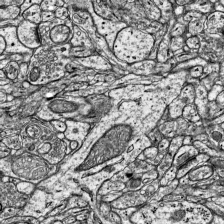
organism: Mouse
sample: Visual Cortex